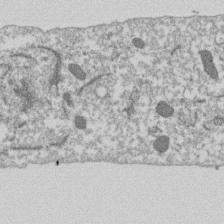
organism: Dictyostelium discoideum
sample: Dictyostelium multivesicular bodies